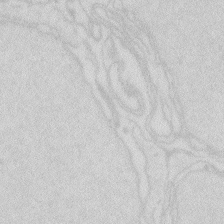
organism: Zebrafish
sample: Macrophage